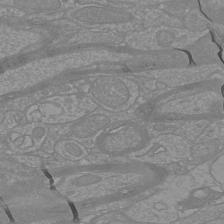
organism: Mouse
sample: Cortical neurons